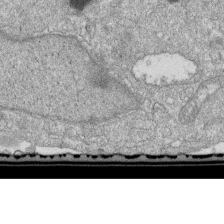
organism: Human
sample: HeLa cell HIV synapse